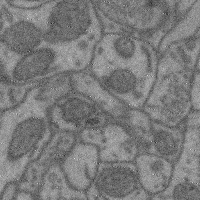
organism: Mouse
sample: Cerebral cortex